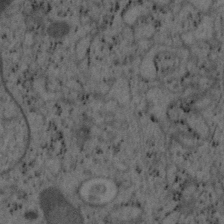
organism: Human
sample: HeLa cells